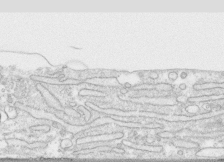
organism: Human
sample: CRL-1474